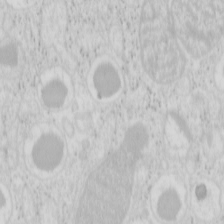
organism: Mouse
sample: Pancreas